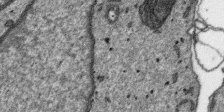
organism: Human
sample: Lung epithelial cells, uninfected (mock) control